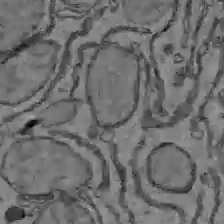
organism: C57BL Mouse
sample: Liver